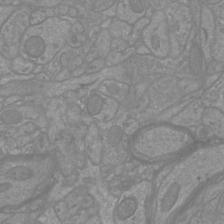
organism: Mouse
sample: Cortical neurons